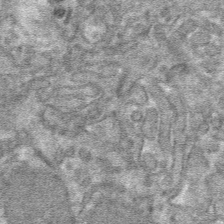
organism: Mouse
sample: Mouse hepatocytes